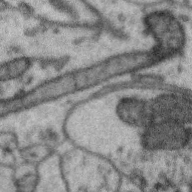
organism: Zebra finch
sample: Brain